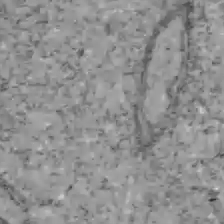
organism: C57BL Mouse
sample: Liver